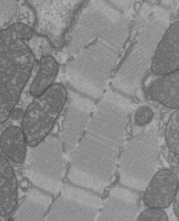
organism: C57BL Mouse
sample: Heart